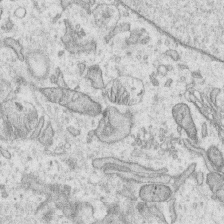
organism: Human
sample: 1205lu cells